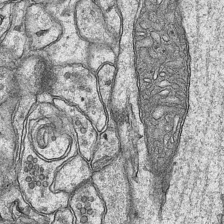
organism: Mouse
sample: CA1 Hippocampus